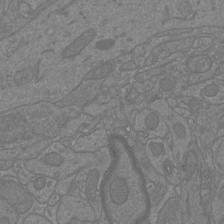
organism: Mouse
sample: Cortical neurons